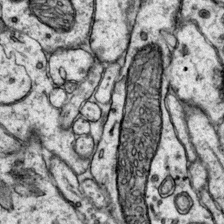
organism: Mouse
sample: Primary visual cortex